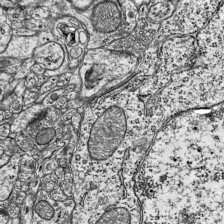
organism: Mouse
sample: Visual Cortex